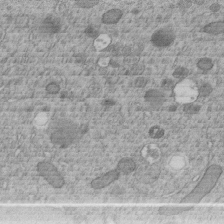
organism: C. elegans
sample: C. elegans embryo early stage